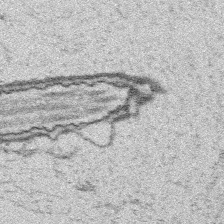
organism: Platynereis dumerilii